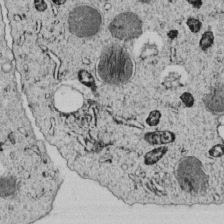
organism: C. elegans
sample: C. elegans embryo early stage